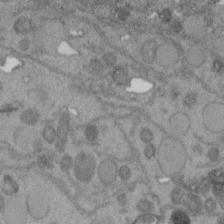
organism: C. elegans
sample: C. elegans embryo early stage